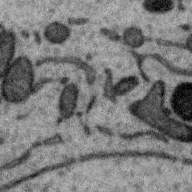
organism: Zebra finch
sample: Brain